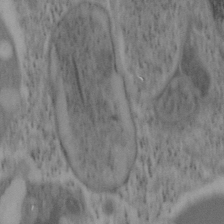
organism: Mouse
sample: OT-I killer T cells with ID8 ovarian cancer cells